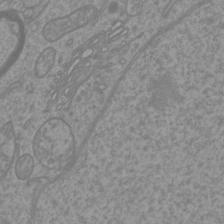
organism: Mouse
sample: Cortical neurons